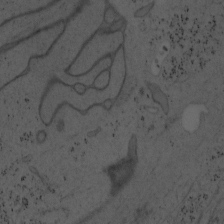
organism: Mouse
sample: OT-I killer T cells with ID8 ovarian cancer cells